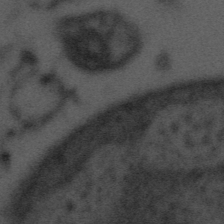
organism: Tuwongella immobilis